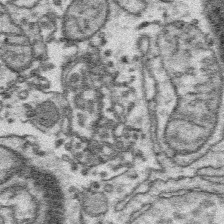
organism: Platynereis dumerilii